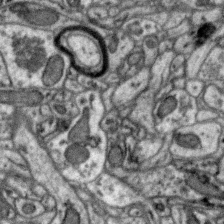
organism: Zebra finch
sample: Brain